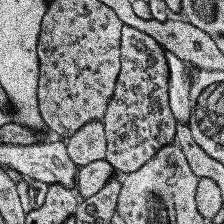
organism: Human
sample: Temporal Lobe